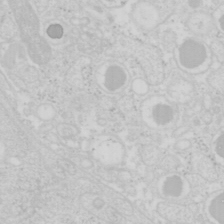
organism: Mouse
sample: Pancreas